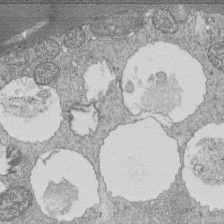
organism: Tetrahymena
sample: Cilia in tetrahymena